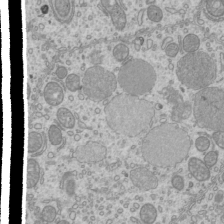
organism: Mouse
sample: Cilia; mouse epididymis